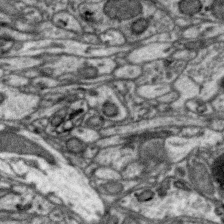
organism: Zebra finch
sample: Brain